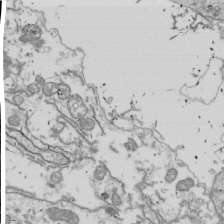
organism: Drosophila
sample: Cell division; meiosis; drosophila spermatocytes